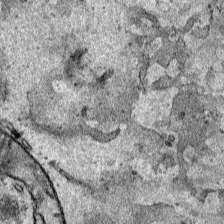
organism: Human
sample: Mitochondria in HCT116 cells